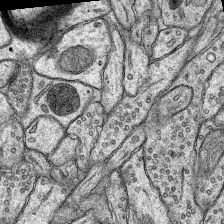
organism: Rat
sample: Hippocampus